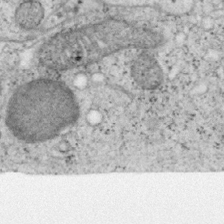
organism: Mouse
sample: OT-I killer T cells with ID8 ovarian cancer cells